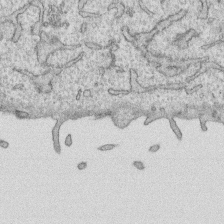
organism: Human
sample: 1205lu cells